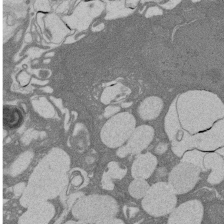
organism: Rat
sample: Salivary granule